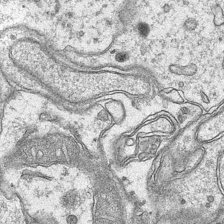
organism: Mouse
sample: CA1 Hippocampus